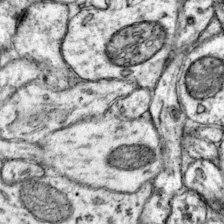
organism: Mouse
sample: Primary visual cortex